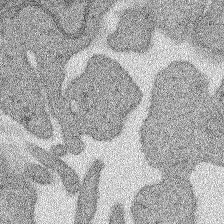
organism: Human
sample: HeLa cells